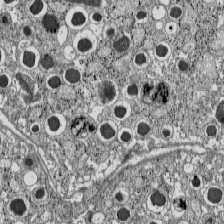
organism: C57BL Mouse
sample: Pancreatic islet